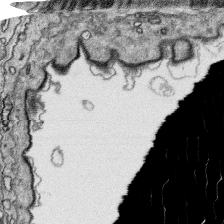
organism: Platynereis dumerilii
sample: Parapodia